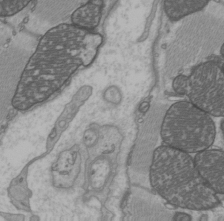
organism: C57BL Mouse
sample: Heart